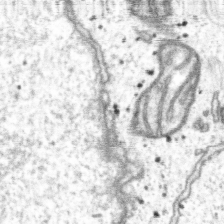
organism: Human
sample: HeLa cells